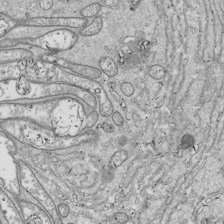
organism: Drosophila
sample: Cell division; meiosis; drosophila spermatocytes